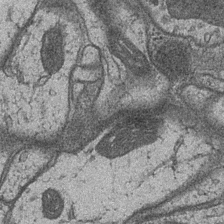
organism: Drosophila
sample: Optic medulla